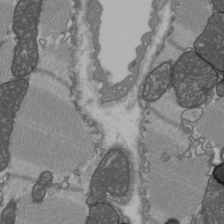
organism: C57BL Mouse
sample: Heart